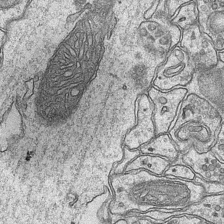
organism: Mouse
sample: CA1 Hippocampus